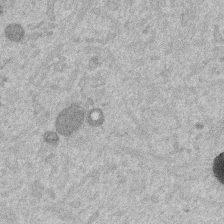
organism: Mouse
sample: Dividing mouse embryo 1 cell stage